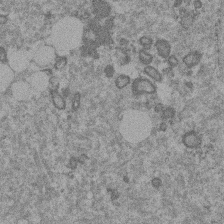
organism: Mouse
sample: Dividing mouse embryo 1 cell stage